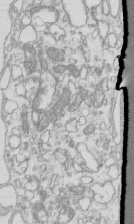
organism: Mouse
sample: Macrophages